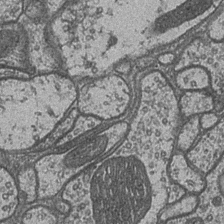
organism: Drosophila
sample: Optic medulla